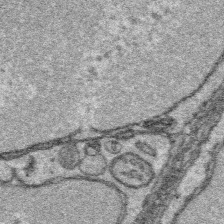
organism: Platynereis dumerilii